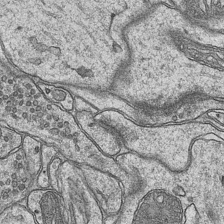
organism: Mouse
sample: CA1 Hippocampus